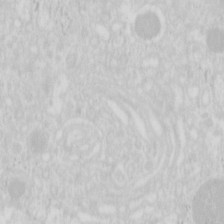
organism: Mouse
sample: Pancreas